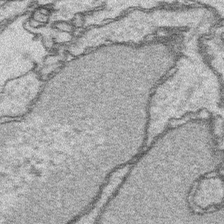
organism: Platynereis dumerilii